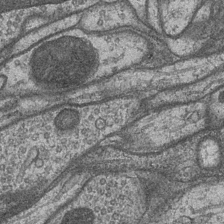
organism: Drosophila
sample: Optic medulla